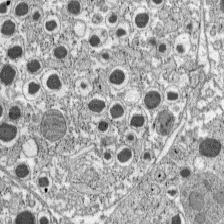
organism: C57BL Mouse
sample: Pancreatic islet